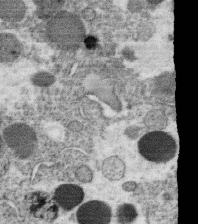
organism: C. elegans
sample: C. elegans oocyte; sperm cells